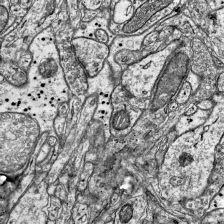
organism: Mouse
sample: Visual Cortex